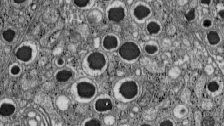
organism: C57BL Mouse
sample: Pancreatic islet